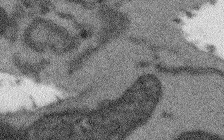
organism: Arabidopsis thaliana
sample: Root tip